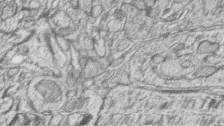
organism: Zebrafish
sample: synaptic ribbons in rod cells and cone cells